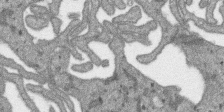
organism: Human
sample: Lung epithelial cells infected with SARS-CoV-2